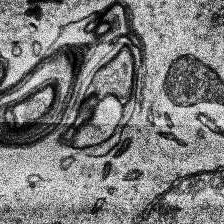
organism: Human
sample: Temporal Lobe